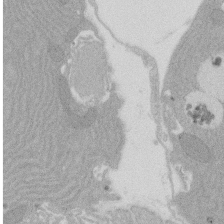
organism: Rat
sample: Salivary granule